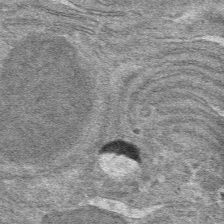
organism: Mouse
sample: Mouse hepatocytes